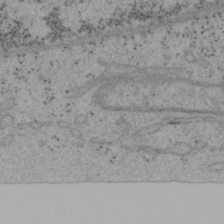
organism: Human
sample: HeLa cells